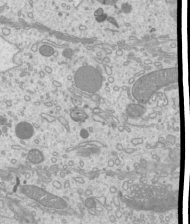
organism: Mouse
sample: Cilia; mouse epididymis